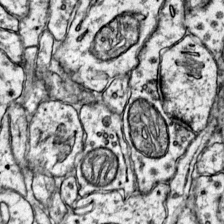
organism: Mouse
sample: Primary visual cortex